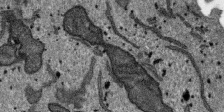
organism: Human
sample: Lung epithelial cells, uninfected (mock) control